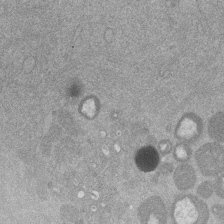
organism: Mouse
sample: Dividing mouse embryo 1 cell stage